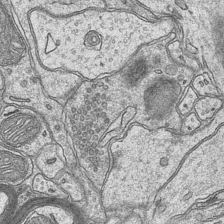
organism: Mouse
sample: CA1 Hippocampus